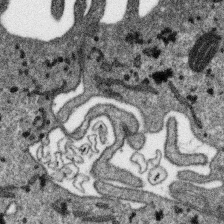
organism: Human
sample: Lung epithelial cells infected with SARS-CoV-2